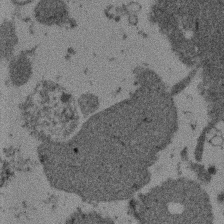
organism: Mouse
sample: Dividing mouse embryo 1 cell stage